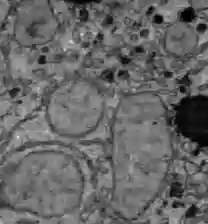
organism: C57BL Mouse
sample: Liver